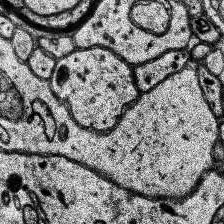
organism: Human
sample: Temporal Lobe